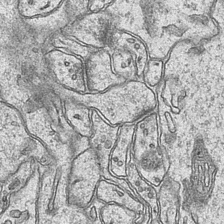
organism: Mouse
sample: CA1 Hippocampus